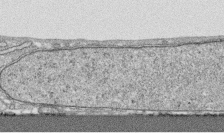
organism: Human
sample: CRL-1474